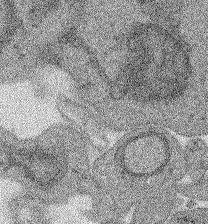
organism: Human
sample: HeLa cells